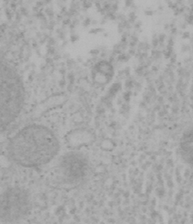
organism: Mouse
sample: OT-I killer T cells with ID8 ovarian cancer cells